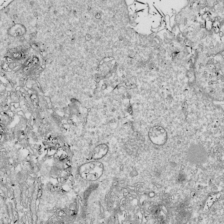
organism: Drosophila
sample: Cell division; meiosis; drosophila spermatocytes